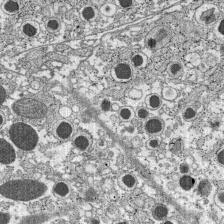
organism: C57BL Mouse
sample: Pancreatic islet